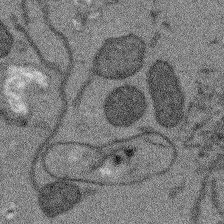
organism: Arabidopsis thaliana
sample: Root tip